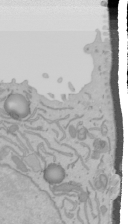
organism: Mouse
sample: Cancer cell death in ED-1 cells